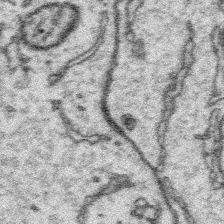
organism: Platynereis dumerilii